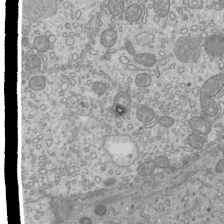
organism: Mouse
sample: Cilia; mouse epididymis